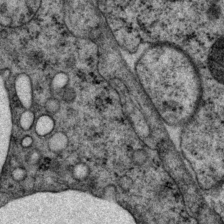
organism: P. pacificus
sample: Pharynx